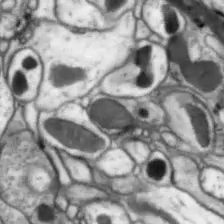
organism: Drosophila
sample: Optic lobe